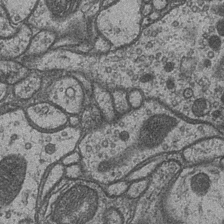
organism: Drosophila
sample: Optic medulla